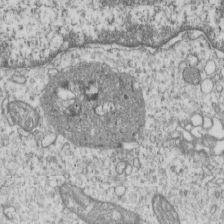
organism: Human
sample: MDA-MB-231 cells